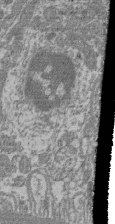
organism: Mouse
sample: Glomerulus